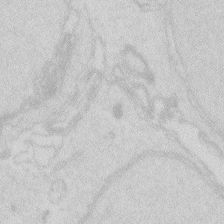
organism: Zebrafish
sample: Macrophage